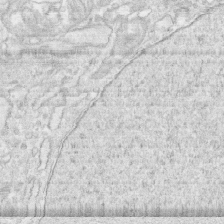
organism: Human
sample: CRL-1474